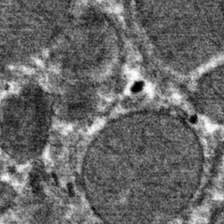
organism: Mouse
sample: Mouse hepatocytes